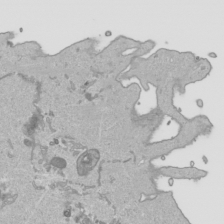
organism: Human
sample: Mitochondria in HCT116 cells